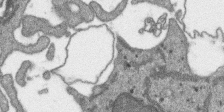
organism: Human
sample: Lung epithelial cells infected with SARS-CoV-2